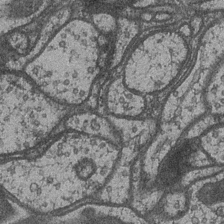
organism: Drosophila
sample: Optic medulla